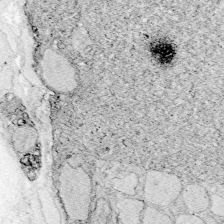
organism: Zebrafish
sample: Whole-Brain